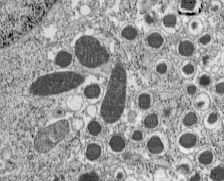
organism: C57BL Mouse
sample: Pancreatic islet